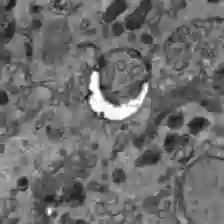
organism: C57BL Mouse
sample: Liver